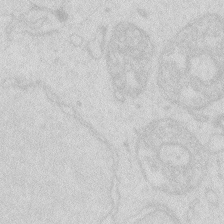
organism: Zebrafish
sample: Macrophage